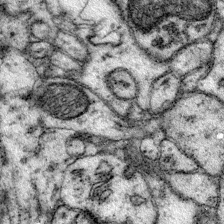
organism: Mouse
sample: Primary visual cortex